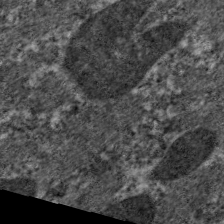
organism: C. elegans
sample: Pharynx